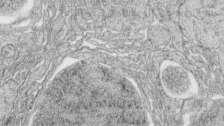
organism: Zebrafish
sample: synaptic ribbons in rod cells and cone cells